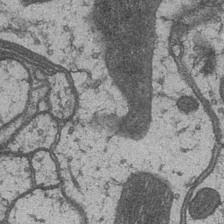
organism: Drosophila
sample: Optic medulla